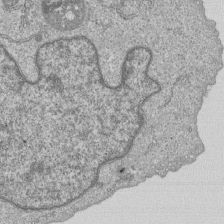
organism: Human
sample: MDA-MB-231 cells